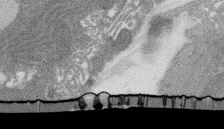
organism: Rat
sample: Salivary granule